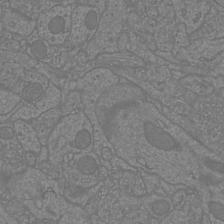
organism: Mouse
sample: Cortical neurons